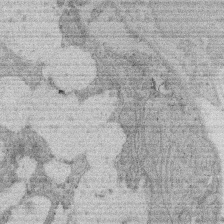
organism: Rat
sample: Salivary granule